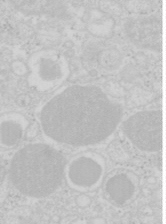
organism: Mouse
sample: Pancreas